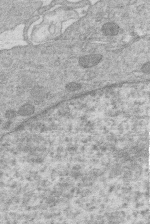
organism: Human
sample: Macrophage cells